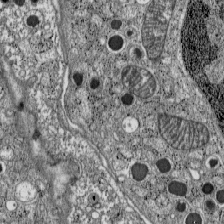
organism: C57BL Mouse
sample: Pancreatic islet